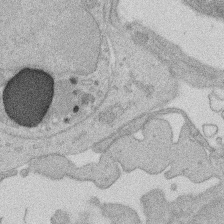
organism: Rat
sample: Salivary granule